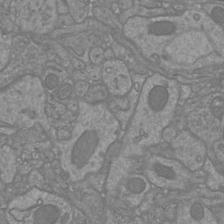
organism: Mouse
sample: Cortical neurons